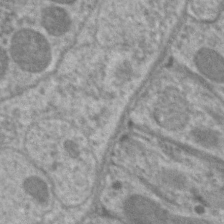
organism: C. elegans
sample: Pharynx